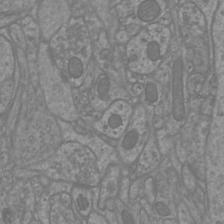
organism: Mouse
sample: Cortical neurons